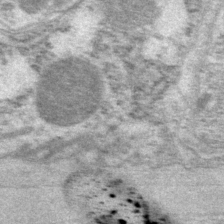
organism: P. pacificus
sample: Pharynx